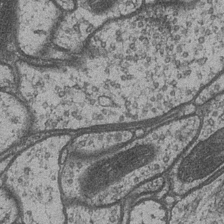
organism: Drosophila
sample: Optic medulla